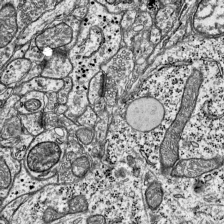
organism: Mouse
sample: Visual Cortex